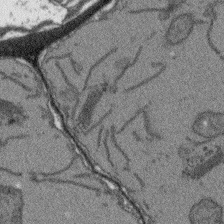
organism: Arabidopsis thaliana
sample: Root tip